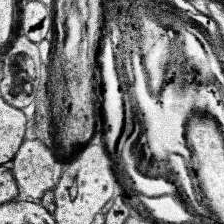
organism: Human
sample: Temporal Lobe